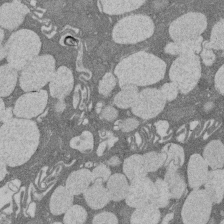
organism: Rat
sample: Salivary granule